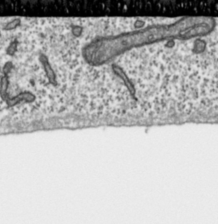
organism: Toxoplasma gondii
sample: Parasites in a vacuole inside a host cell